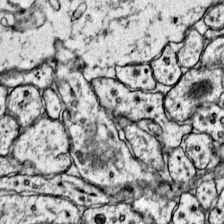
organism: Mouse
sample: Primary visual cortex